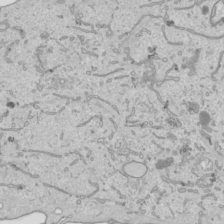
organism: Human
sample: Mitochondria in HCT116 cells